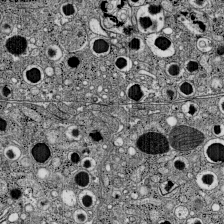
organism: C57BL Mouse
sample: Pancreatic islet